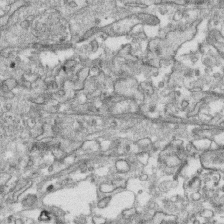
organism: Human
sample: CRL-1474